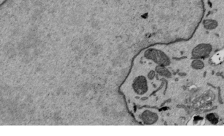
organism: Mouse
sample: ED-1 cell nuclei; centrioles